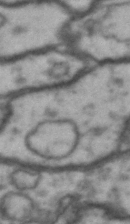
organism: Drosophila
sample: Brain